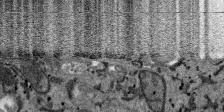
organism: Human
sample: Lung epithelial cells, uninfected (mock) control